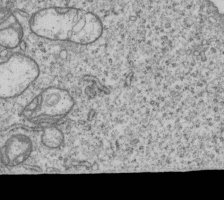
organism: Human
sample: MDA-MB-231 cells